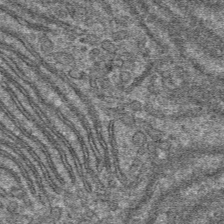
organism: Mouse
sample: Mouse hepatocytes